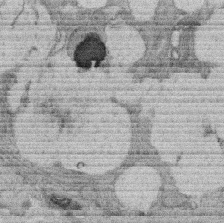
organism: Rat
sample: Salivary granule